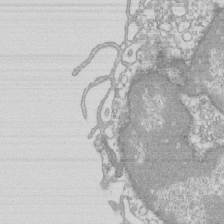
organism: Mouse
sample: Macrophages